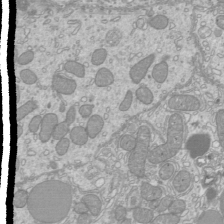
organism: Mouse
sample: Cilia; mouse epididymis